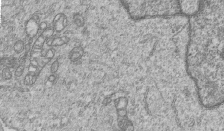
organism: Human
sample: MDA-MB-231 cells